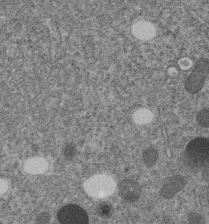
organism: C. elegans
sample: C. elegans embryo early stage